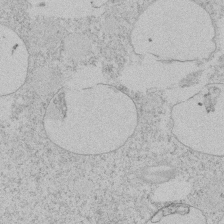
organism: Tetrahymena